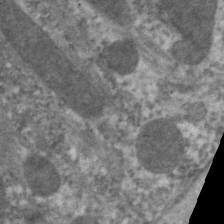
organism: C. elegans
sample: Pharynx